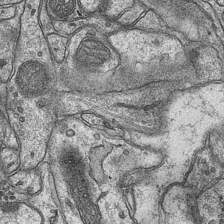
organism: Mouse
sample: CA1 Hippocampus